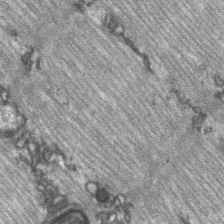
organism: C57BL Mouse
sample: Soleus